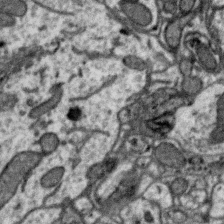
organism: Zebra finch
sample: Brain